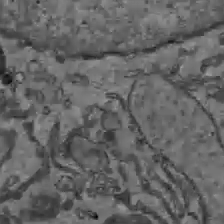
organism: C57BL Mouse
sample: Liver